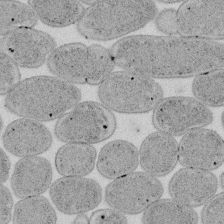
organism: E. coli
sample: Bacterial nucleoid